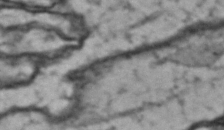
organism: Drosophila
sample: Brain